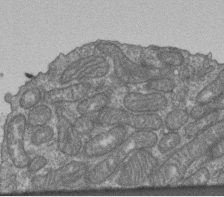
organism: Human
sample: Retinal organoid Rod and Cone cells